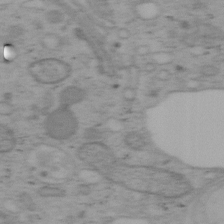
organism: Mouse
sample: OT-I killer T cells with ID8 ovarian cancer cells